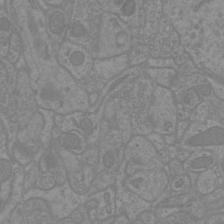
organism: Mouse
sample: Cortical neurons